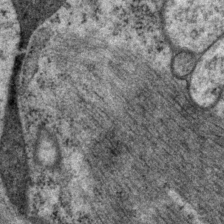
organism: P. pacificus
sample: Pharynx